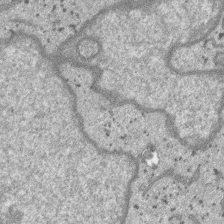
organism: Human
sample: Lung epithelial cells infected with SARS-CoV-2